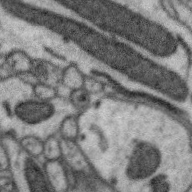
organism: Zebra finch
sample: Brain